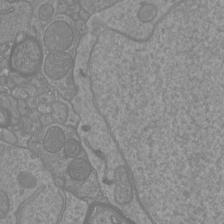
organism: Mouse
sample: Cortical neurons